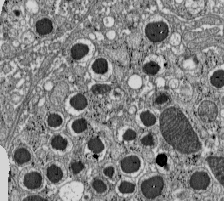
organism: C57BL Mouse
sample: Pancreatic islet